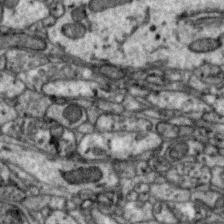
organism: Zebra finch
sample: Brain